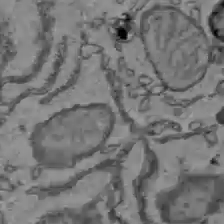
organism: C57BL Mouse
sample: Liver